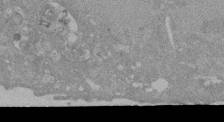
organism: Mouse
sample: ED-1 cell nuclei; centrioles